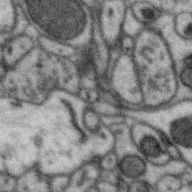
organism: Zebra finch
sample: Brain